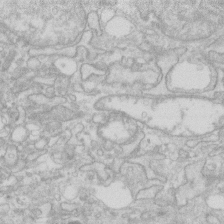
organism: Human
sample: Fibroblast cells